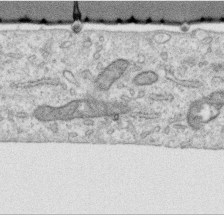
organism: Human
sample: Centriole in RPE cells